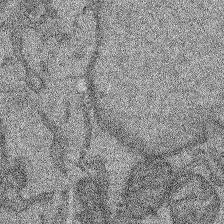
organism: Human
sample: HeLa cells